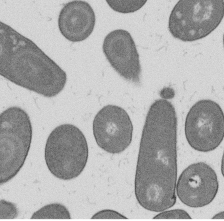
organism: B. subtilis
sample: Bacterial spore